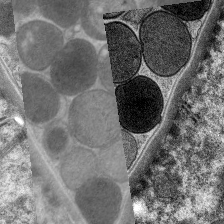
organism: C. elegans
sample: Pharynx